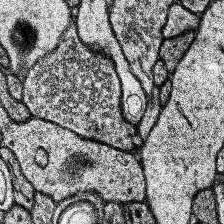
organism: Human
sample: Temporal Lobe